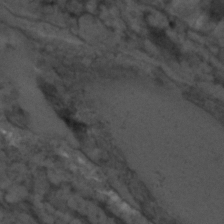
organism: C. elegans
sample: C. elegans embryo